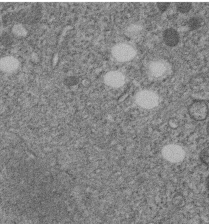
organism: C. elegans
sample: C. elegans embryo early stage